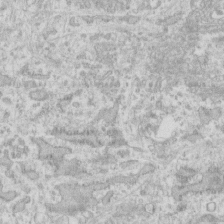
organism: Human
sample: Fibroblast cells